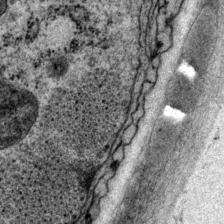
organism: P. pacificus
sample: Pharynx